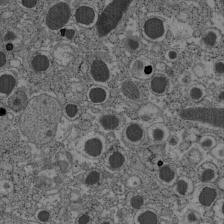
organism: C57BL Mouse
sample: Pancreatic islet